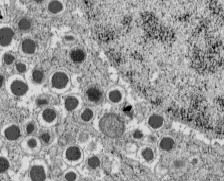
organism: C57BL Mouse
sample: Pancreatic islet